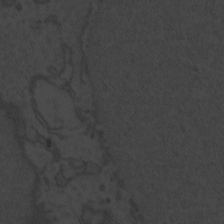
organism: Zebrafish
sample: Macrophage infected with Toxoplasma gondii